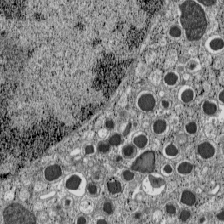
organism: C57BL Mouse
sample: Pancreatic islet